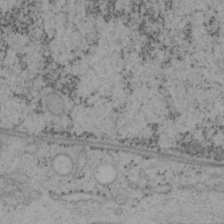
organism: Human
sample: HeLa cells